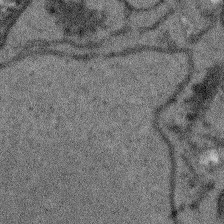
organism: Arabidopsis thaliana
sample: Root tip